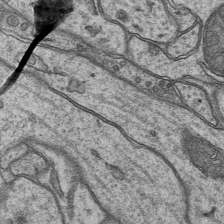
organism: Mouse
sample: CA1 Hippocampus